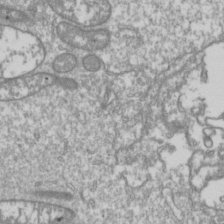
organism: Drosophila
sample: Cell division; meiosis; drosophila spermatocytes